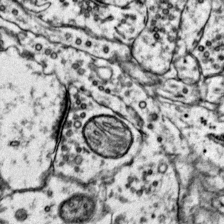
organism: Mouse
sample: Primary visual cortex